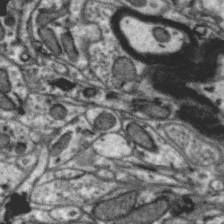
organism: Zebra finch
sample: Brain